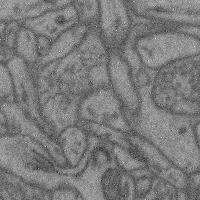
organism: Mouse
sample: Cerebral cortex